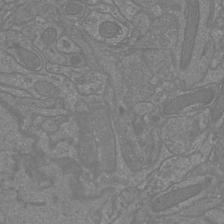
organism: Mouse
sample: Cortical neurons